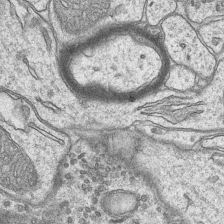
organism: Mouse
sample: CA1 Hippocampus